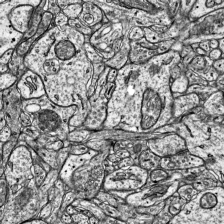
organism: Mouse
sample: Visual Cortex